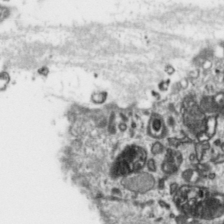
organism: Toxoplasma gondii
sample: Parasites in a vacuole inside a host cell